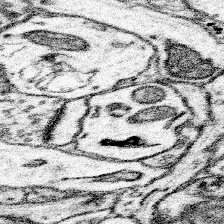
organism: Mouse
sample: Somatosensory cortex neuropil